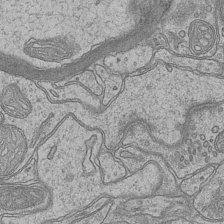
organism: Mouse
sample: CA1 Hippocampus